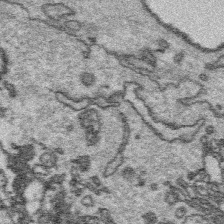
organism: Platynereis dumerilii